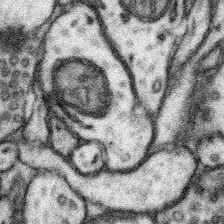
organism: Mouse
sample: Somatosensory cortex neuropil